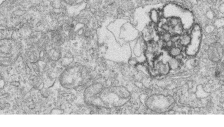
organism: Human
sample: HeLa cell HIV synapse